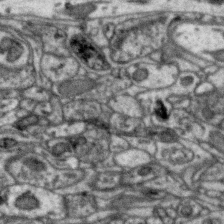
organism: Zebra finch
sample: Brain